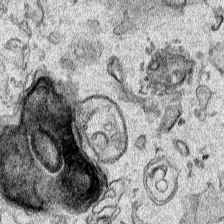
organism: Human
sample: Mitochondria in HCT116 cells